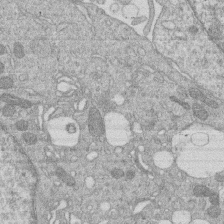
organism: Human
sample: Macrophage cells